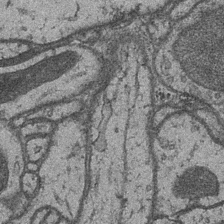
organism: Drosophila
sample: Optic medulla